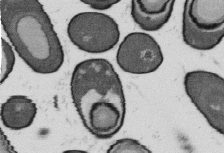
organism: B. subtilis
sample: Bacterial spore